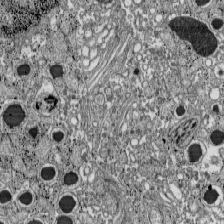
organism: C57BL Mouse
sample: Pancreatic islet